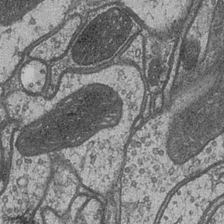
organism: Drosophila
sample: Optic medulla